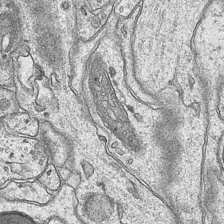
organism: Mouse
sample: CA1 Hippocampus